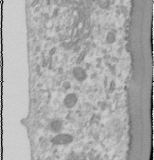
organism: Human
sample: Cilia; basal body in RPE cells